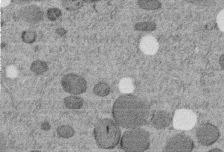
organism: C. elegans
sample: C. elegans embryo early stage